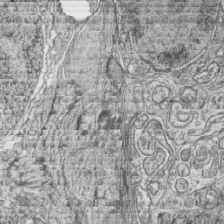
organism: Zebrafish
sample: synaptic ribbons in rod cells and cone cells